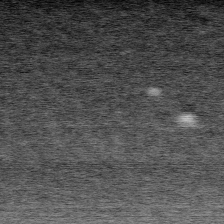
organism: Human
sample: HeLa cells